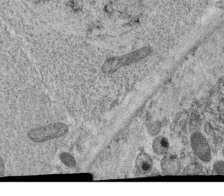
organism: C. elegans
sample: C. elegans oocyte; sperm cells